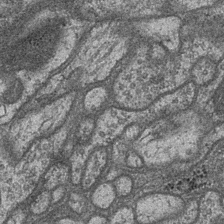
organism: Drosophila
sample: Optic medulla